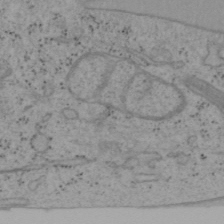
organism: Human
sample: HeLa cells